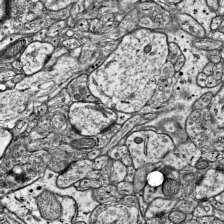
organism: Mouse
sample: Visual Cortex